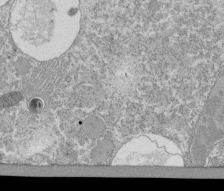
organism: Tetrahymena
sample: Cilia in tetrahymena